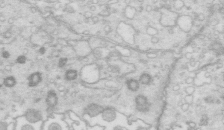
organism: Mouse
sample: Multiciliated cells